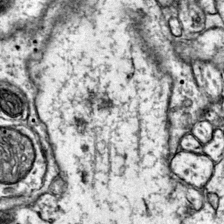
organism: Mouse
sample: Primary visual cortex